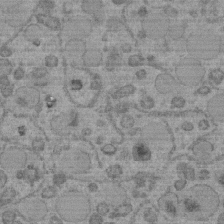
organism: C. elegans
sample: C. elegans embryo early stage